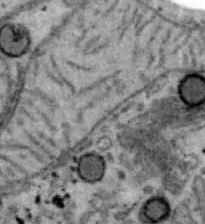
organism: Mouse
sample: Liver from an obese (ob/ob) mouse